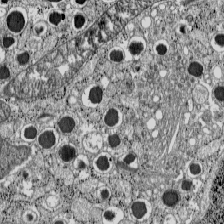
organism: C57BL Mouse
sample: Pancreatic islet